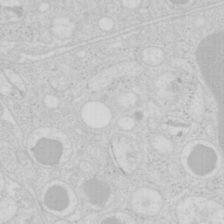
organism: Mouse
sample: Pancreas